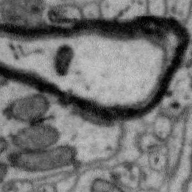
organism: Zebra finch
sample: Brain